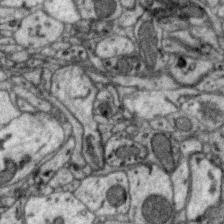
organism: Zebra finch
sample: Brain